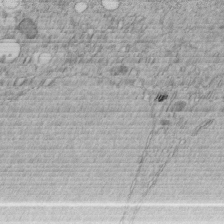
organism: C. elegans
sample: C. elegans embryo early stage